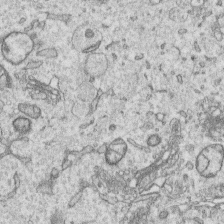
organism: Human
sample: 1205lu cells